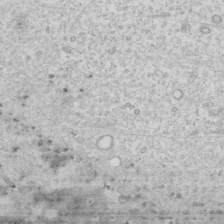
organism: Human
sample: Fibroblast cells